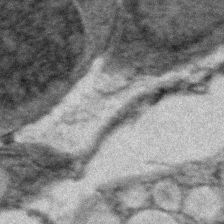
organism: Zebrafish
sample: Zebrafish embryo